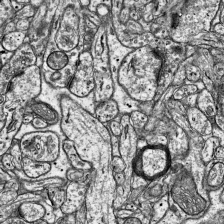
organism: Mouse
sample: Visual Cortex